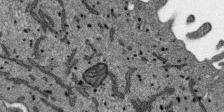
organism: Human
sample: Lung epithelial cells, uninfected (mock) control